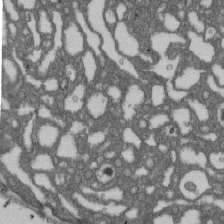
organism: Drosophila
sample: Nephrocyte